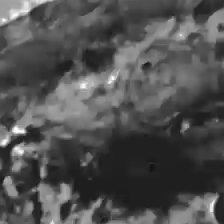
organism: C57BL Mouse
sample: Liver